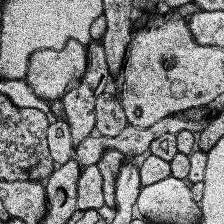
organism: Human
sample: Temporal Lobe